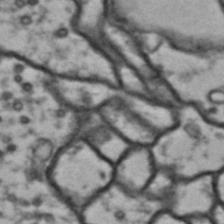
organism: Drosophila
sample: Brain